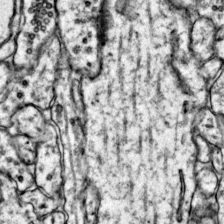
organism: Mouse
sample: Primary visual cortex